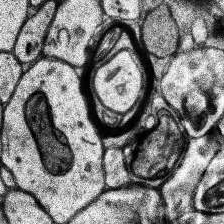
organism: Human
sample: Temporal Lobe